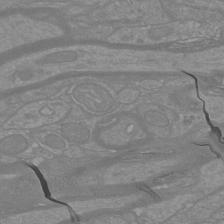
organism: Mouse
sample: Cortical neurons